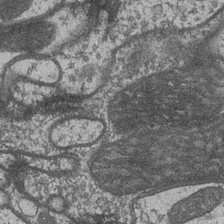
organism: Drosophila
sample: Optic medulla